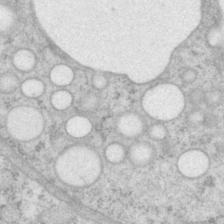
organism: P. pacificus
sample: Pharynx